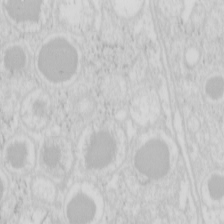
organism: Mouse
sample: Pancreas